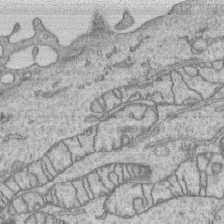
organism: Human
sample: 1205lu cells